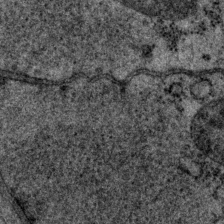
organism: P. pacificus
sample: Pharynx